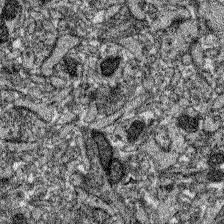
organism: Zebrafish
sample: Larval olfactory bulb